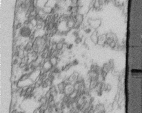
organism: Human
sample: Centriole in fibroblast cells